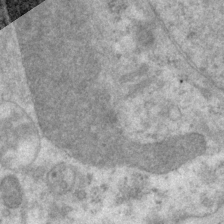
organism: P. pacificus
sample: Pharynx